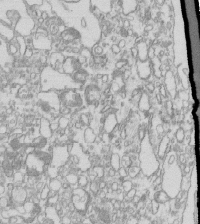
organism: Mouse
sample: Macrophages